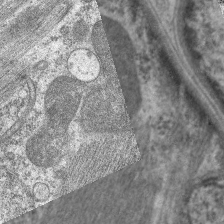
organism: C. elegans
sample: Pharynx